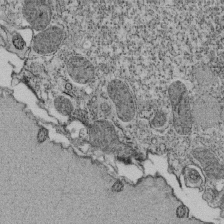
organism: Tetrahymena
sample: Cilia in tetrahymena